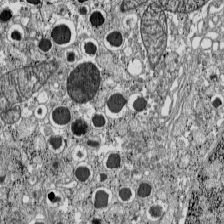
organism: C57BL Mouse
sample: Pancreatic islet